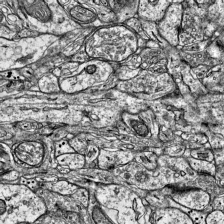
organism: Mouse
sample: Visual Cortex